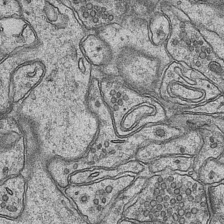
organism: Mouse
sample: CA1 Hippocampus